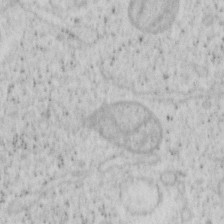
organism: Human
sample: HeLa cells